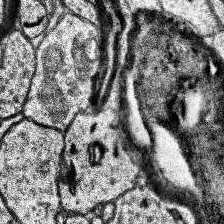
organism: Human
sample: Temporal Lobe